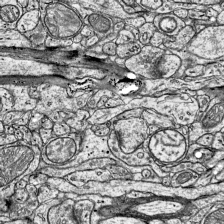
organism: Mouse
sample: Visual Cortex